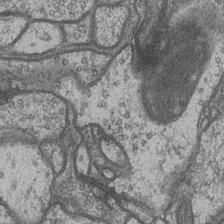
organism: Drosophila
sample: Optic medulla